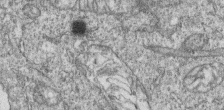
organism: Human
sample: HeLa cell HIV synapse